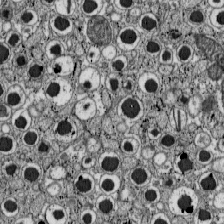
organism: C57BL Mouse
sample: Pancreatic islet